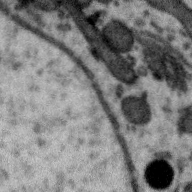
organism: Zebra finch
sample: Brain